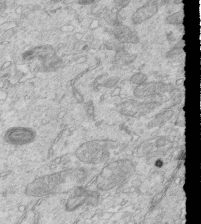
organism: Mouse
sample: Multiciliated cells